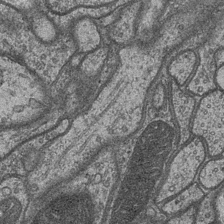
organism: Drosophila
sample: Optic medulla